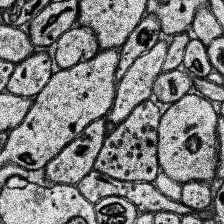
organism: Human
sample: Temporal Lobe